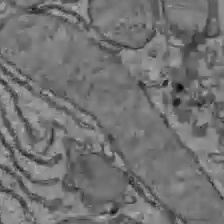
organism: C57BL Mouse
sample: Liver